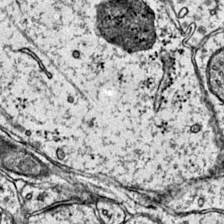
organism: Mouse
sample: Primary visual cortex